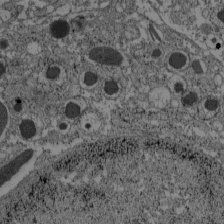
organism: C57BL Mouse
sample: Pancreatic islet